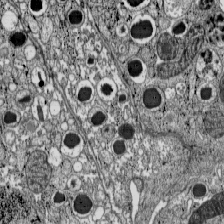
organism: C57BL Mouse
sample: Pancreatic islet